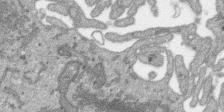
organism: Human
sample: Lung epithelial cells infected with SARS-CoV-2